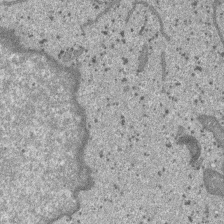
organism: Human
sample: Lung epithelial cells infected with SARS-CoV-2